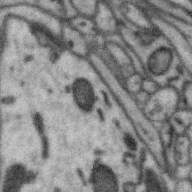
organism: Zebra finch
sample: Brain